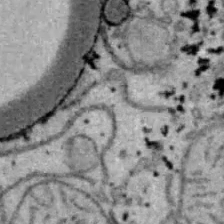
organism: Mouse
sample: Liver from an obese (ob/ob) mouse